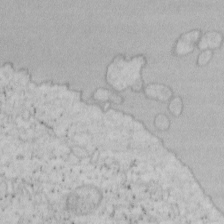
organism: Human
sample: HeLa cells